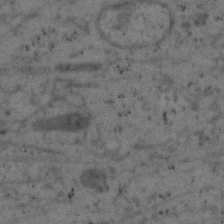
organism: Human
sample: HeLa cells